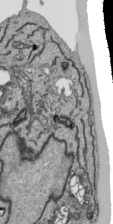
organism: Human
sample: Mitochondria in HCT116 cells